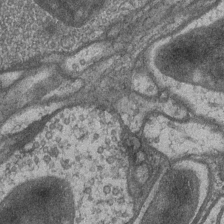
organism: Drosophila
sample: Optic medulla